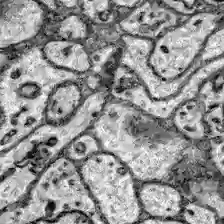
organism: Zebrafish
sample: Brain